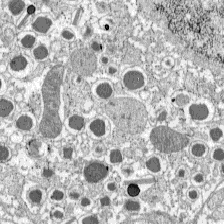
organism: C57BL Mouse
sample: Pancreatic islet